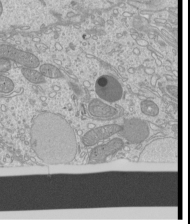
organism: Mouse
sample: Cilia; mouse epididymis